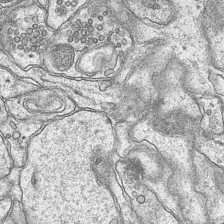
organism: Mouse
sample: CA1 Hippocampus